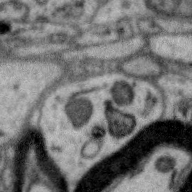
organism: Zebra finch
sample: Brain